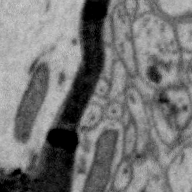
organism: Zebra finch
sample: Brain